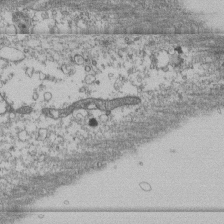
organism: Human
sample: Fibroblast cells